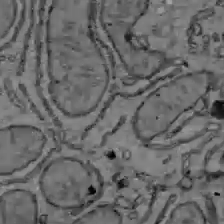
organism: C57BL Mouse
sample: Liver